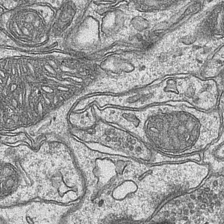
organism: Mouse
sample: CA1 Hippocampus